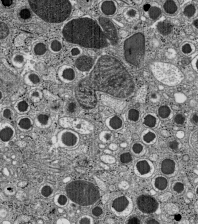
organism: C57BL Mouse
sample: Pancreatic islet